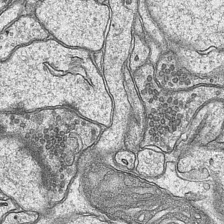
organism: Mouse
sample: CA1 Hippocampus